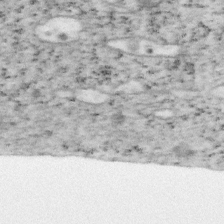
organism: Mouse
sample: OT-I killer T cells with ID8 ovarian cancer cells